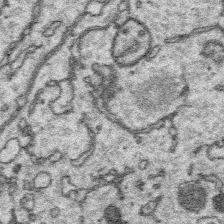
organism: Platynereis dumerilii